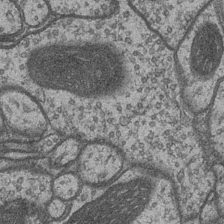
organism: Drosophila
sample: Optic medulla